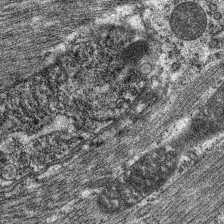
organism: C. elegans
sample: Pharynx